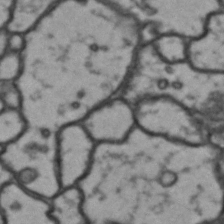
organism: Drosophila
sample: Brain